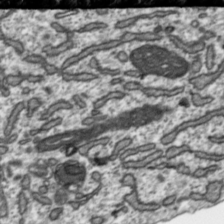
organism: Toxoplasma gondii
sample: Parasites in a vacuole inside a host cell